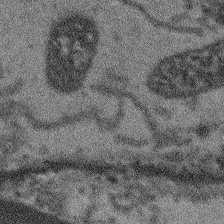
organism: Arabidopsis thaliana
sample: Root tip